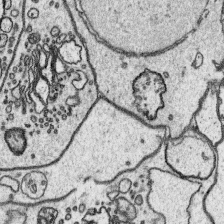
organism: Platynereis dumerilii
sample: Parapodia